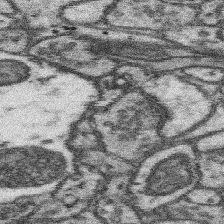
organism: Mouse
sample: Somatosensory cortex neuropil